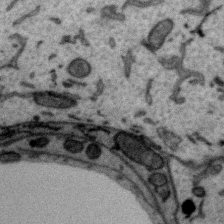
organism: Zebra finch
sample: Brain